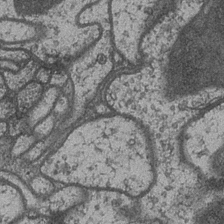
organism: Drosophila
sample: Optic medulla